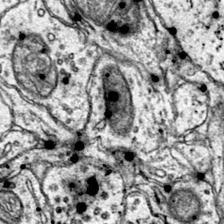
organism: Mouse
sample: Primary visual cortex